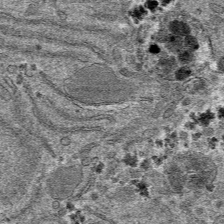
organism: Mouse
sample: Mouse hepatocytes